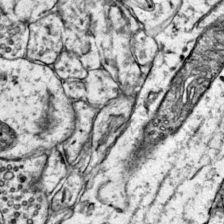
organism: Mouse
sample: Primary visual cortex